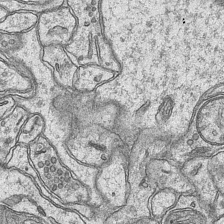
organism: Mouse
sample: CA1 Hippocampus